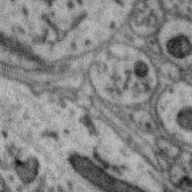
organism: Zebra finch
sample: Brain